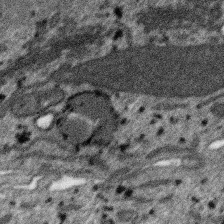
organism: Human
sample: Lung epithelial cells infected with SARS-CoV-2